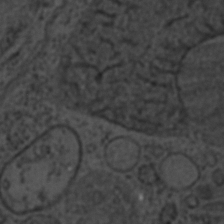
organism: C. elegans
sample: C. elegans embryo